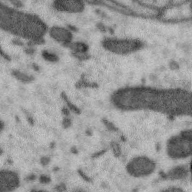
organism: Zebra finch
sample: Brain